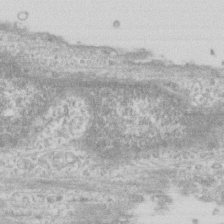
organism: Human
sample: Fibroblast cells